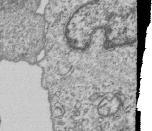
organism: Human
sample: MDA-MB-231 cells